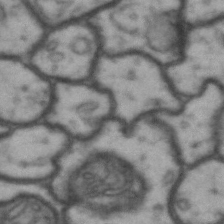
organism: Drosophila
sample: Brain